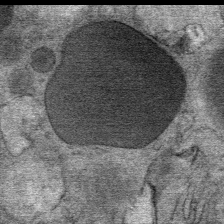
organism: Mouse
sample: Mouse Salivary gland